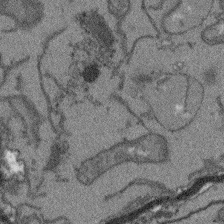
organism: Arabidopsis thaliana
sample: Root tip